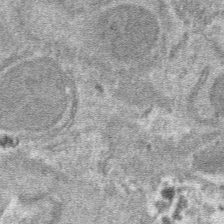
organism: Mouse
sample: Mouse hepatocytes